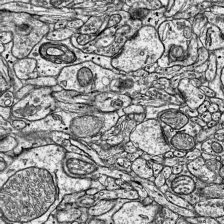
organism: Mouse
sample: Visual Cortex